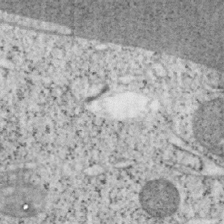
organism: Mouse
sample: OT-I killer T cells with ID8 ovarian cancer cells